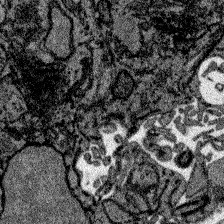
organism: Zebrafish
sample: Larval olfactory bulb